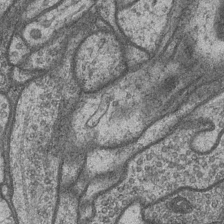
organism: Drosophila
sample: Optic medulla